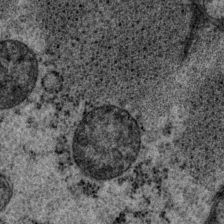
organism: P. pacificus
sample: Pharynx